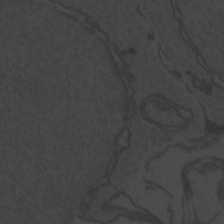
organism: Zebrafish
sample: Macrophage infected with Toxoplasma gondii